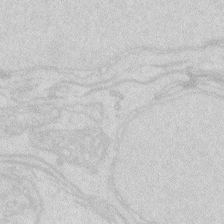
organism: Zebrafish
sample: Macrophage